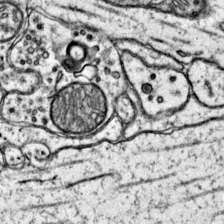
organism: Mouse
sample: Primary visual cortex